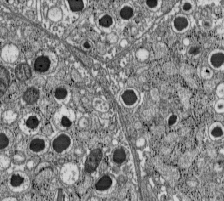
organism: C57BL Mouse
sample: Pancreatic islet